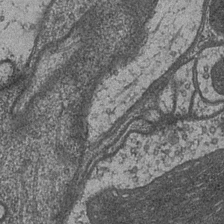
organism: Drosophila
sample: Optic medulla